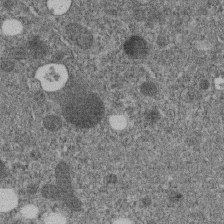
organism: C. elegans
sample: C. elegans embryo early stage